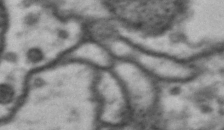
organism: Drosophila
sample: Brain